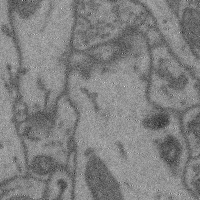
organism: Mouse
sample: Cerebral cortex